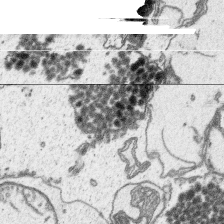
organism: Platynereis dumerilii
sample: Parapodia